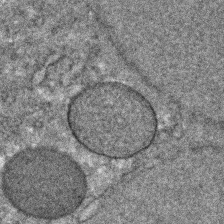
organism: C. elegans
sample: C. elegans embryo